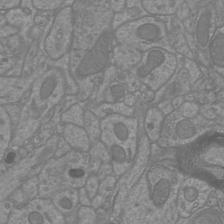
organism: Mouse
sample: Cortical neurons